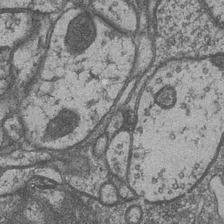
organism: Drosophila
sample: Optic medulla